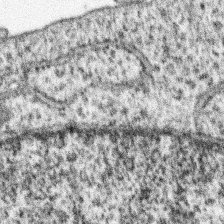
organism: Human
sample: HeLa cells